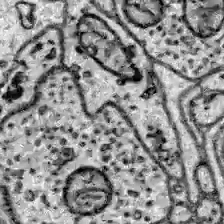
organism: Zebrafish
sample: Brain